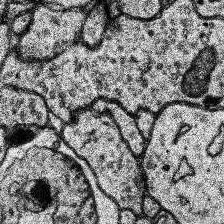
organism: Human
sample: Temporal Lobe